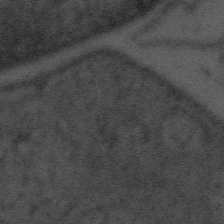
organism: Tuwongella immobilis